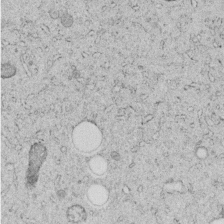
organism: C. elegans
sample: C. elegans embryo early stage